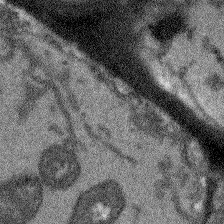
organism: Arabidopsis thaliana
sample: Root tip